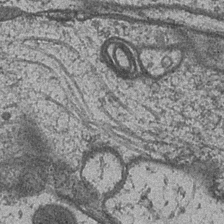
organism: Drosophila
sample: Optic medulla